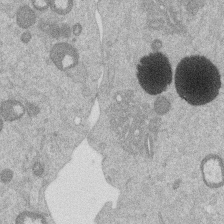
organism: Mouse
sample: Dividing mouse embryo 1 cell stage